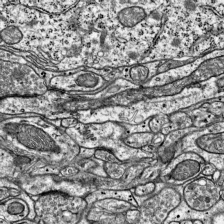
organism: Mouse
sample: Visual Cortex